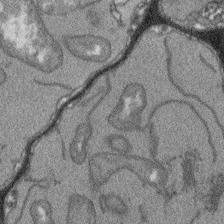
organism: Arabidopsis thaliana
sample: Root tip